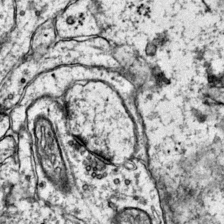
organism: Mouse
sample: Primary visual cortex